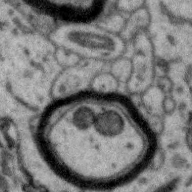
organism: Zebra finch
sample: Brain